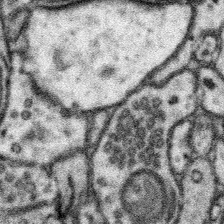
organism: Mouse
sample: Somatosensory cortex neuropil